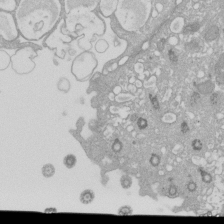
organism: Xenopus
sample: Cilia; centrioles in frog embryo cells